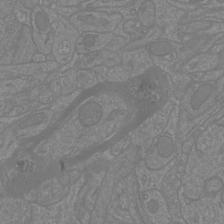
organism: Mouse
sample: Cortical neurons